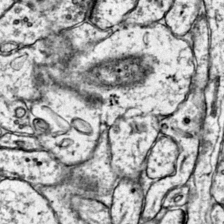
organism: Mouse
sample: Primary visual cortex